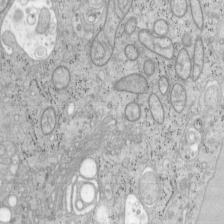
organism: Mouse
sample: OT-I killer T cells with ID8 ovarian cancer cells